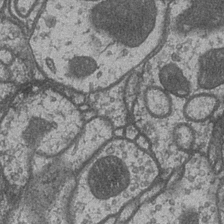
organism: Drosophila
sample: Optic medulla